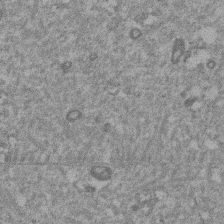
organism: Mouse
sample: Dividing mouse embryo 1 cell stage